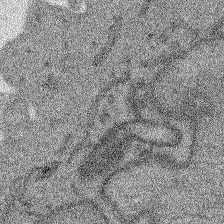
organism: Human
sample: HeLa cells